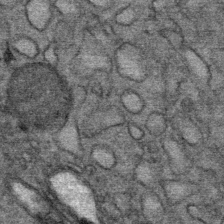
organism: Mouse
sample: Mouse Salivary gland